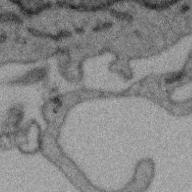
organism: Zebra finch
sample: Brain